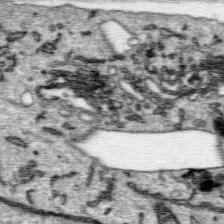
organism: Human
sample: HeLa cells